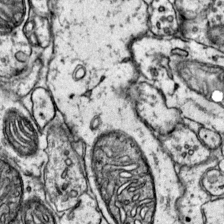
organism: Mouse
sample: Primary visual cortex